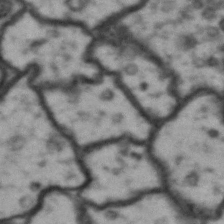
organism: Drosophila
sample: Brain